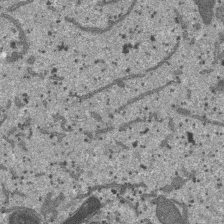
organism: Human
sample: Lung epithelial cells infected with SARS-CoV-2